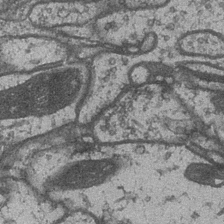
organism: Drosophila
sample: Optic medulla